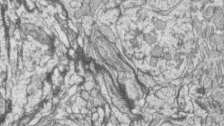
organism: Zebrafish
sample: synaptic ribbons in rod cells and cone cells